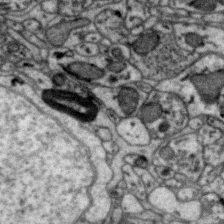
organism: Zebra finch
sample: Brain